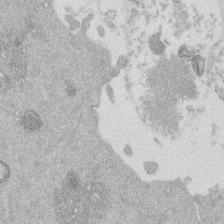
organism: Mouse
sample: Dividing mouse embryo 1 cell stage